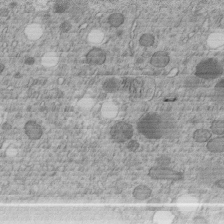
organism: C. elegans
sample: C. elegans embryo early stage